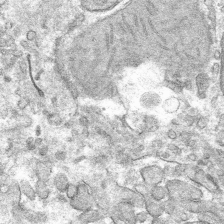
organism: Mouse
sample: Mouse hepatocytes